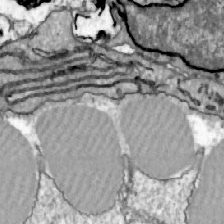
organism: Zebrafish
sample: Actinotrichia fibers